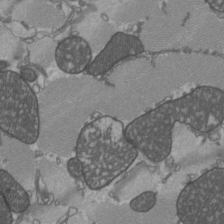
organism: C57BL Mouse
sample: Heart